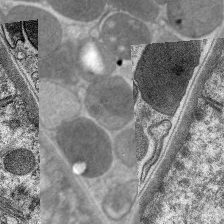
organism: C. elegans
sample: Pharynx